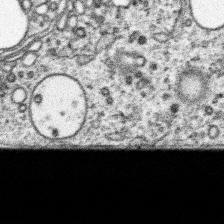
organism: Human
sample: HeLa cells